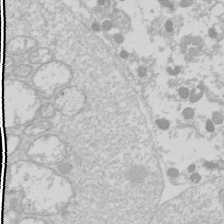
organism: Drosophila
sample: Cell division; meiosis; drosophila spermatocytes